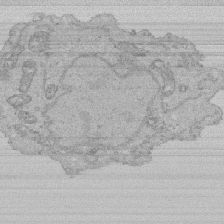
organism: Human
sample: Activated Jurkat CD4+ T cells